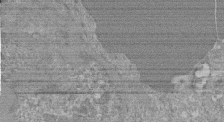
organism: Mouse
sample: Glomerulus